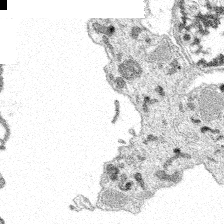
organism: Spongilla lacustris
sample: Multiple